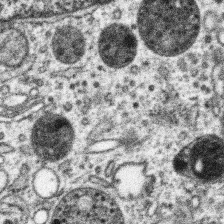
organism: Human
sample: HeLa cells